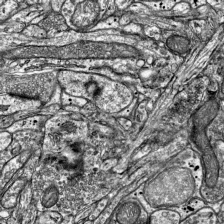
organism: Mouse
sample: Visual Cortex